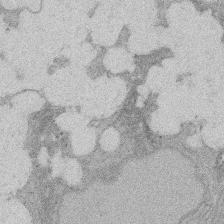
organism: Rat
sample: Salivary granule